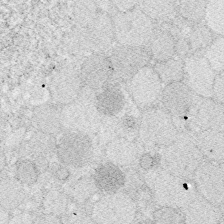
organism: Zebrafish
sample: Whole-Brain